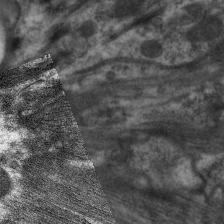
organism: C. elegans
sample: Pharynx